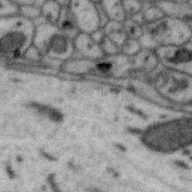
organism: Zebra finch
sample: Brain